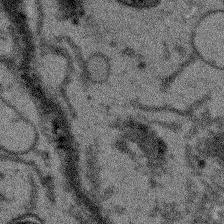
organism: Arabidopsis thaliana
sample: Root tip